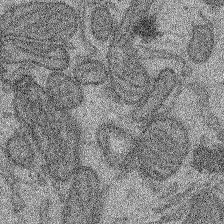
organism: Human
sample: HeLa cells